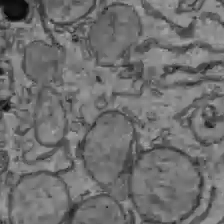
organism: C57BL Mouse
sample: Liver